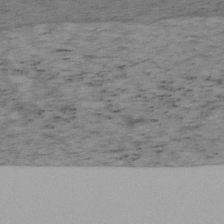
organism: Mouse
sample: OT-I killer T cells with ID8 ovarian cancer cells